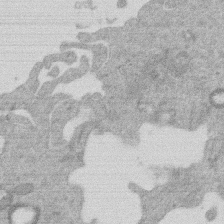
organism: Mouse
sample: Dividing mouse embryo 1 cell stage